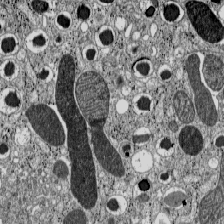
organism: C57BL Mouse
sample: Pancreatic islet